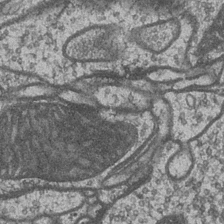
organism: Drosophila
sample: Optic medulla